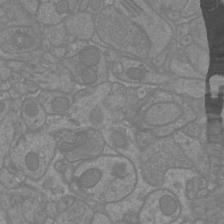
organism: Mouse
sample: Cortical neurons